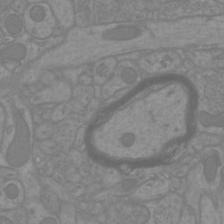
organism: Mouse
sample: Cortical neurons